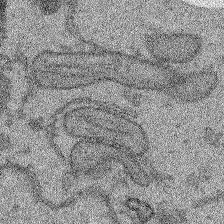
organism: Human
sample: HeLa cells